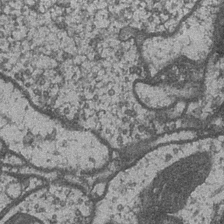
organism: Drosophila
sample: Optic medulla